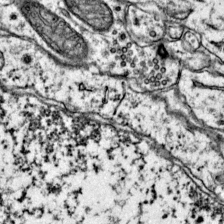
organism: Mouse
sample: Primary visual cortex